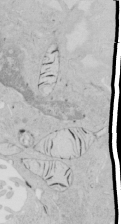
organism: Human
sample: Mitochondria in HCT116 cells